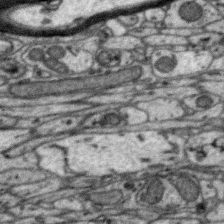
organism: Zebra finch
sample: Brain